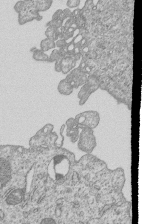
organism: Human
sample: MDA-MB-231 cells